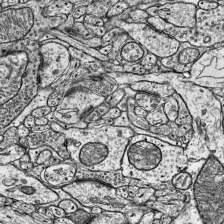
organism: Mouse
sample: Visual Cortex